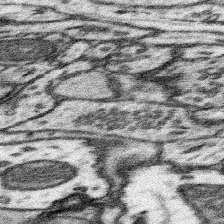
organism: Mouse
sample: Somatosensory cortex neuropil